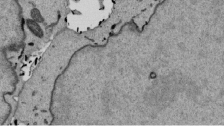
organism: Mouse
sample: ED-1 cell nuclei; centrioles